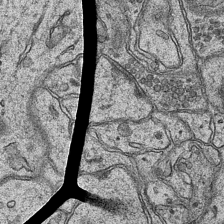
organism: Mouse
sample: CA1 Hippocampus